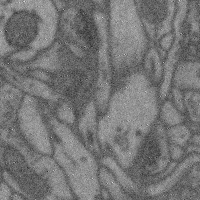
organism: Mouse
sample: Cerebral cortex